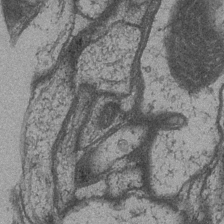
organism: Drosophila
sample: Optic medulla